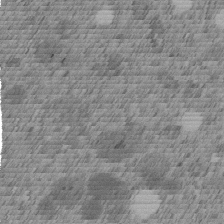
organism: C. elegans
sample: C. elegans embryo early stage